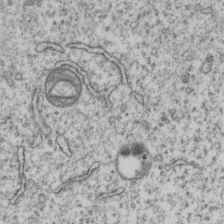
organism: Human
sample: MDA-MB-231 cells